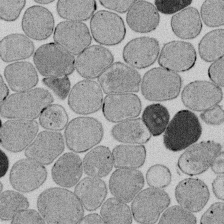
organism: E. coli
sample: Bacterial nucleoid